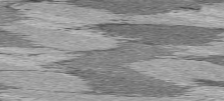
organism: C57BL Mouse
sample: Heart